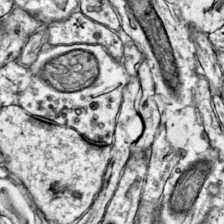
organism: Mouse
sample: Primary visual cortex